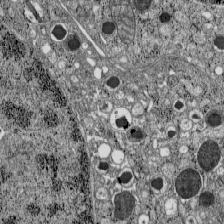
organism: C57BL Mouse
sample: Pancreatic islet